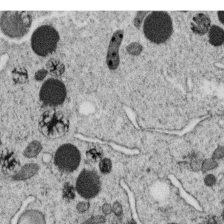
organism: C. elegans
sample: C. elegans oocyte; sperm cells